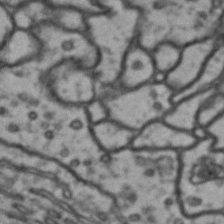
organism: Drosophila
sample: Brain